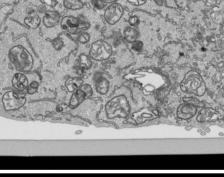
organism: Human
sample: Mitochondria in HCT116 cells